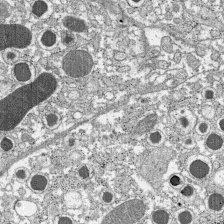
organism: C57BL Mouse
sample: Pancreatic islet